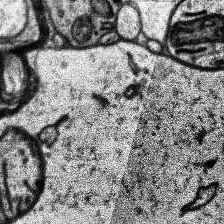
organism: Human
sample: Temporal Lobe